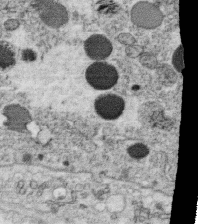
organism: C. elegans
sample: C. elegans oocyte; sperm cells